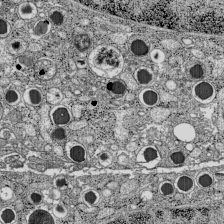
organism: C57BL Mouse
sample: Pancreatic islet